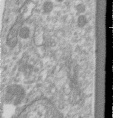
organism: Human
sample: Centriole in RPE cells